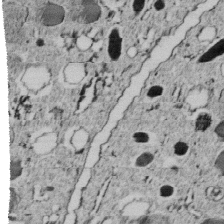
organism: C. elegans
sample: C. elegans embryo early stage